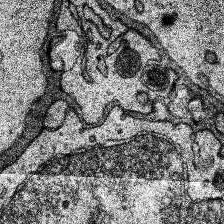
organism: Human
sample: Temporal Lobe